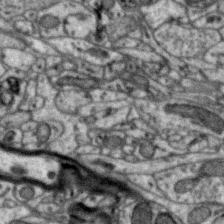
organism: Zebra finch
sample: Brain